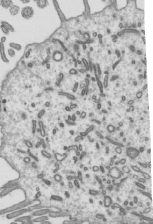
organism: Mouse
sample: Mouse epididymis efferent ductule cilia